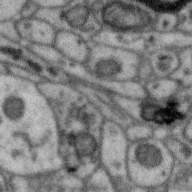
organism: Zebra finch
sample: Brain